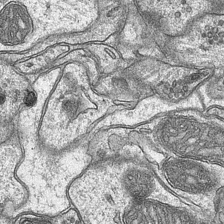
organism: Mouse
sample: CA1 Hippocampus